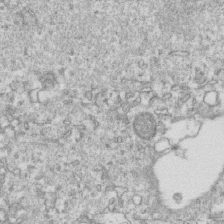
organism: Mouse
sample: Activated OT-1 CD8+ T cells